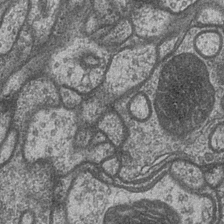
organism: Drosophila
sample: Optic medulla